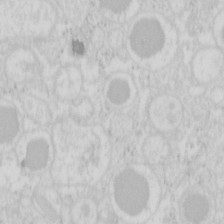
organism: Mouse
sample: Pancreas